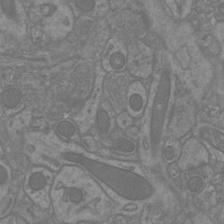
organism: Mouse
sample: Cortical neurons